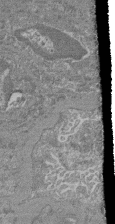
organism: Mouse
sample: Glomerulus